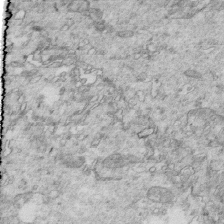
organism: Mouse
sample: Multiciliated cells